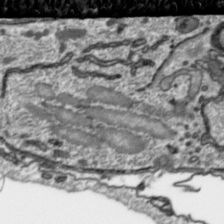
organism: Toxoplasma gondii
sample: Parasites in a vacuole inside a host cell